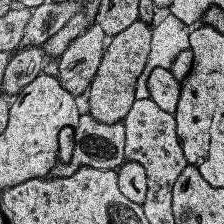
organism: Human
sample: Temporal Lobe